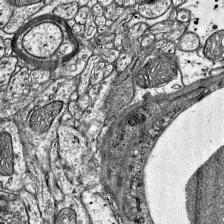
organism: Mouse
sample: Visual Cortex